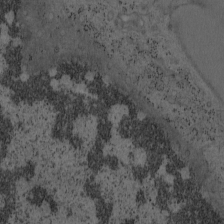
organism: Mouse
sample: OT-I killer T cells with ID8 ovarian cancer cells